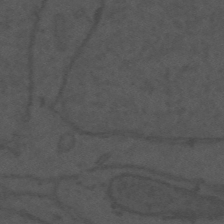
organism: Mouse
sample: Suprachiasmatic nucleus